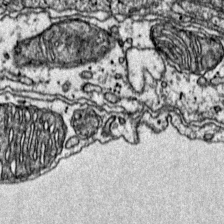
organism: Mouse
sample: Primary visual cortex